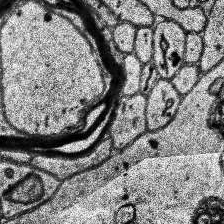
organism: Human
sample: Temporal Lobe